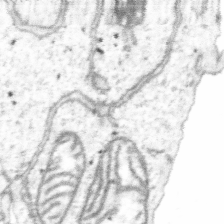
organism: Human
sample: HeLa cells